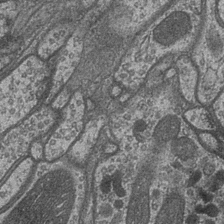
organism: Drosophila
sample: Optic medulla